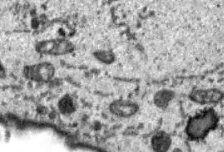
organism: Human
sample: HeLa cells